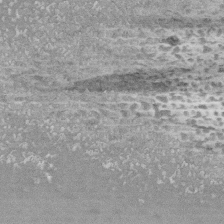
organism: Human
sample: CRL-1474